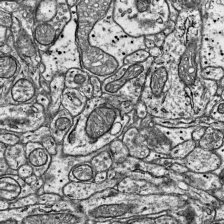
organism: Mouse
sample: Visual Cortex